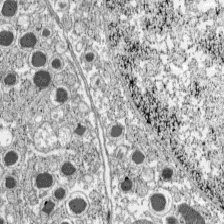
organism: C57BL Mouse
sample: Pancreatic islet